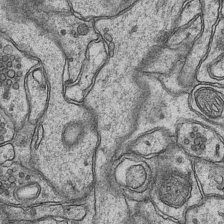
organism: Mouse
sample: CA1 Hippocampus